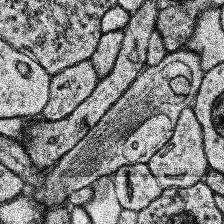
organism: Human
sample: Temporal Lobe